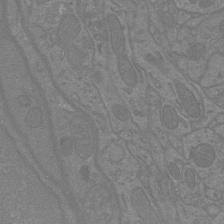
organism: Mouse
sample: Cortical neurons